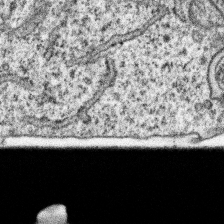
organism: Human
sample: HeLa cells